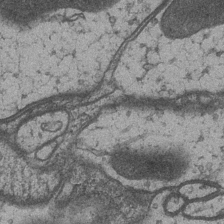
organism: Drosophila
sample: Optic medulla